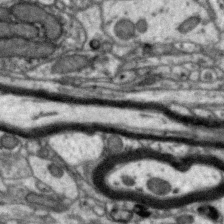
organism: Zebra finch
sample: Brain